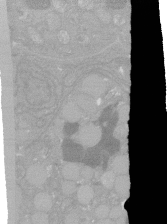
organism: C. elegans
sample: C. elegans oocyte; sperm cells